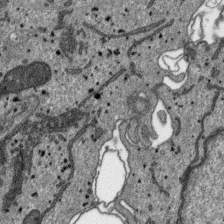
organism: Human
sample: Lung epithelial cells, uninfected (mock) control